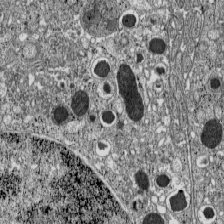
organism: C57BL Mouse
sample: Pancreatic islet